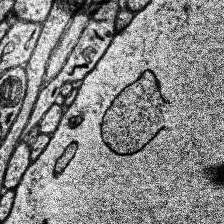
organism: Human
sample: Temporal Lobe